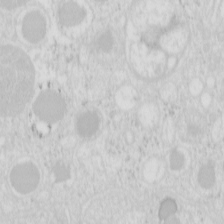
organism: Mouse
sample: Pancreas